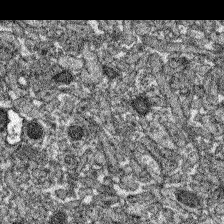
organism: Zebrafish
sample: Larval olfactory bulb